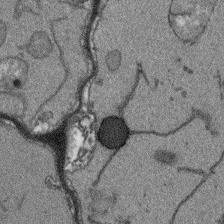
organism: Arabidopsis thaliana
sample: Root tip